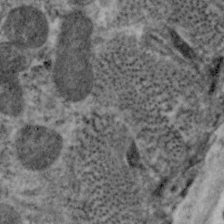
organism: C. elegans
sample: Pharynx